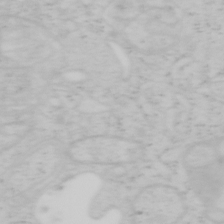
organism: Mouse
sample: OT-I killer T cells with ID8 ovarian cancer cells